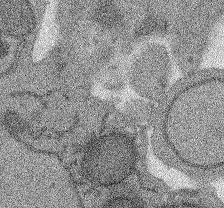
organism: Human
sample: HeLa cells